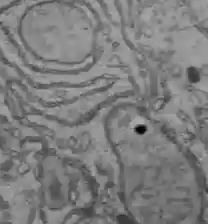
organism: C57BL Mouse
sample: Liver